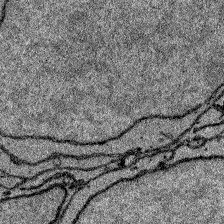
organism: Zebrafish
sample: Larval olfactory bulb